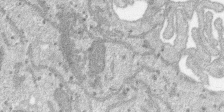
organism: Human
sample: Lung epithelial cells infected with SARS-CoV-2